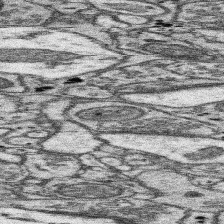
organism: Mouse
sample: Somatosensory cortex neuropil